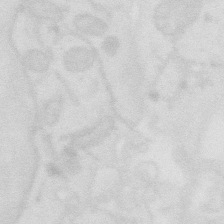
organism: Human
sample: HeLa cells